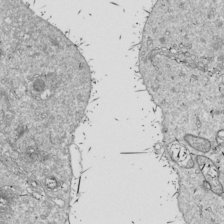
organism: Drosophila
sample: Cell division; meiosis; drosophila spermatocytes